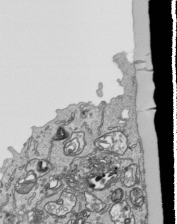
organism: Human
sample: Mitochondria in HCT116 cells